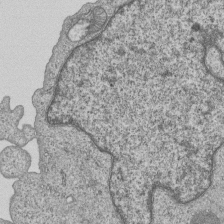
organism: Human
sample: MDA-MB-231 cells